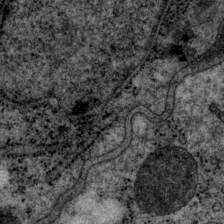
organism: P. pacificus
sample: Pharynx